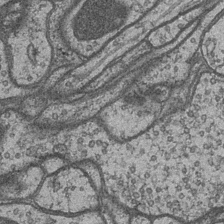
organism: Drosophila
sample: Optic medulla